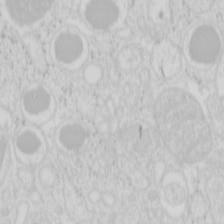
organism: Mouse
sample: Pancreas